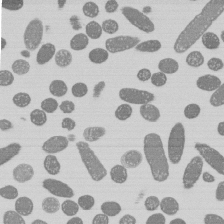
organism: E. coli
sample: Bacterial nucleoid